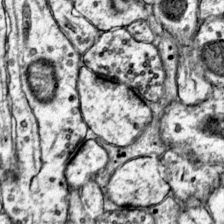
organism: Mouse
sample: Primary visual cortex